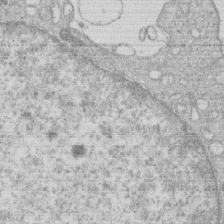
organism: Human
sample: Macrophage cells